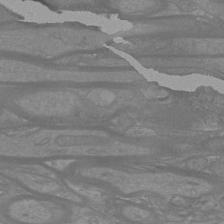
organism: Mouse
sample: Cortical neurons